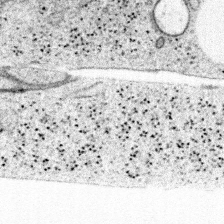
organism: Human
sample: HeLa cells